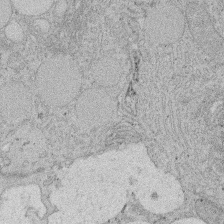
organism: Rat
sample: Salivary granule